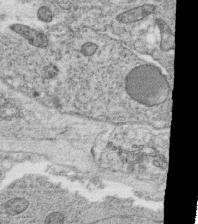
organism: C. elegans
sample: C. elegans oocyte; sperm cells